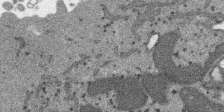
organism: Human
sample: Lung epithelial cells infected with SARS-CoV-2